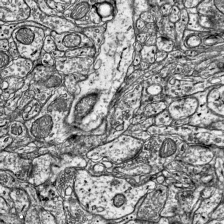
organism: Mouse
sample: Visual Cortex